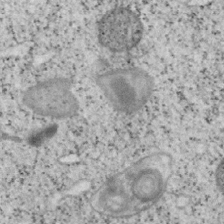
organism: Mouse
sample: OT-I killer T cells with ID8 ovarian cancer cells